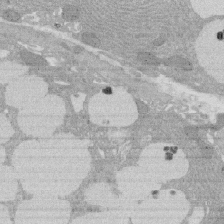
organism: Rat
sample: Salivary granule